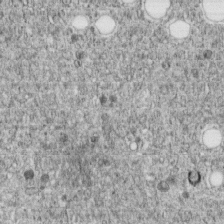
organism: C. elegans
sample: C. elegans embryo early stage